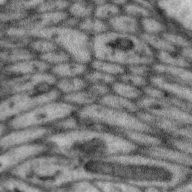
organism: Zebra finch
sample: Brain